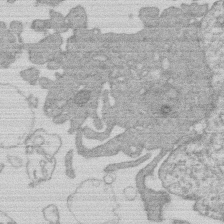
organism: Human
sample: Macrophage cells